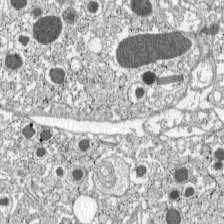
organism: C57BL Mouse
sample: Pancreatic islet